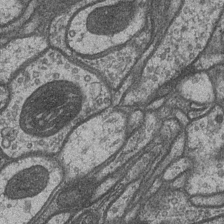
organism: Drosophila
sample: Optic medulla